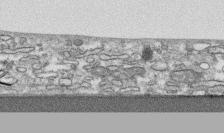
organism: Human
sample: CRL-1474